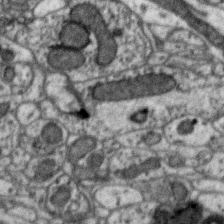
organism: Zebra finch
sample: Brain